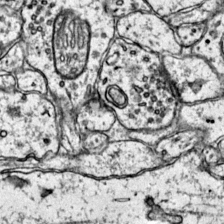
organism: Mouse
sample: Primary visual cortex